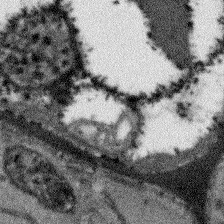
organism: Arabidopsis thaliana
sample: Root tip